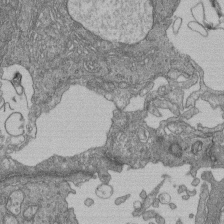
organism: Human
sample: Retinal organoid Rod and Cone cells